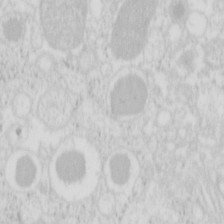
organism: Mouse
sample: Pancreas